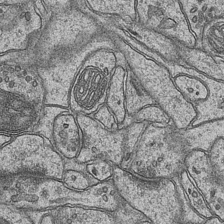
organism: Mouse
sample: CA1 Hippocampus